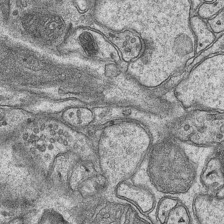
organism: Mouse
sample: CA1 Hippocampus